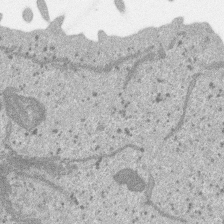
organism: Human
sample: Lung epithelial cells infected with SARS-CoV-2